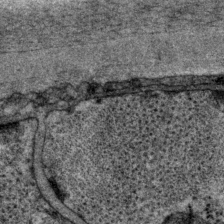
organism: P. pacificus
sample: Pharynx